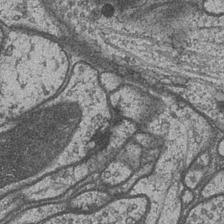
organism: Drosophila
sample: Optic medulla